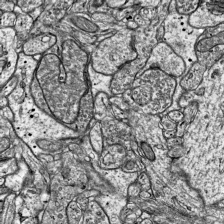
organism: Mouse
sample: Visual Cortex